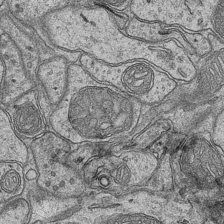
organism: Mouse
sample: CA1 Hippocampus